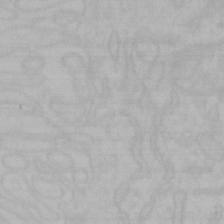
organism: Mouse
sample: Choroid plexus